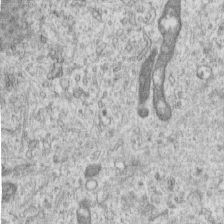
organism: Human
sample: Centriole in RPE cells